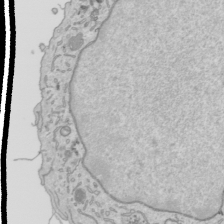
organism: Human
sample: Mitochondria in HCT116 cells